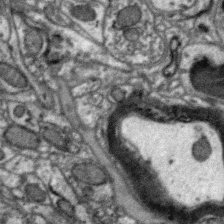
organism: Zebra finch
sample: Brain